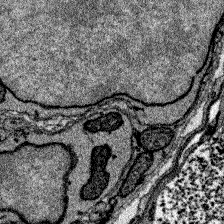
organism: Zebrafish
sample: Larval olfactory bulb